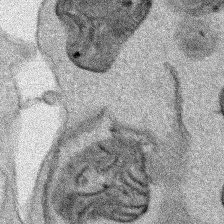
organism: Human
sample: Mitochondria in HCT116 cells